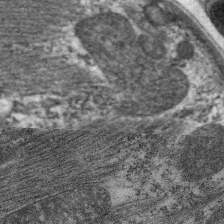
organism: C. elegans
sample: Pharynx